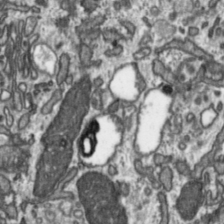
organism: Toxoplasma gondii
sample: Parasites in a vacuole inside a host cell